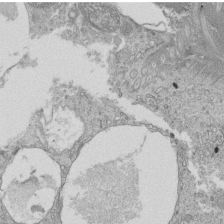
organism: Tetrahymena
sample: Cilia in tetrahymena